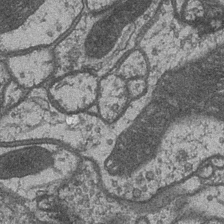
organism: Drosophila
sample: Optic medulla